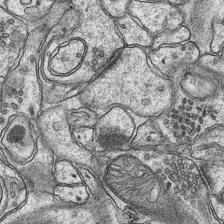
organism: Mouse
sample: CA1 Hippocampus